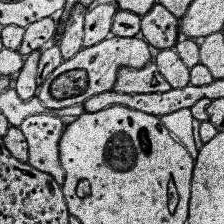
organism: Human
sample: Temporal Lobe